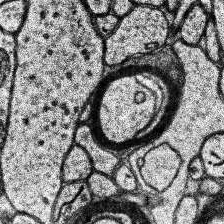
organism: Human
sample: Temporal Lobe